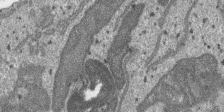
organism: Human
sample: Lung epithelial cells infected with SARS-CoV-2